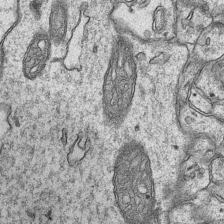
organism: Mouse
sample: CA1 Hippocampus